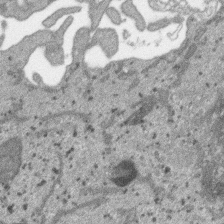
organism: Human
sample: Lung epithelial cells infected with SARS-CoV-2